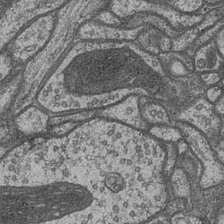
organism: Drosophila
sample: Optic medulla